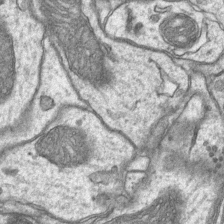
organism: Mouse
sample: CA1 Hippocampus